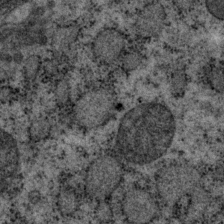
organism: P. pacificus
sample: Pharynx